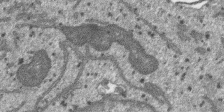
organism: Human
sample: Lung epithelial cells infected with SARS-CoV-2